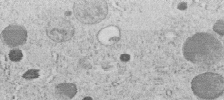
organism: C. elegans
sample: C. elegans embryo early stage